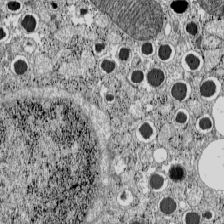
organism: C57BL Mouse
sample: Pancreatic islet